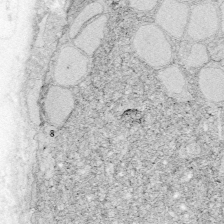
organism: Zebrafish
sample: Whole-Brain